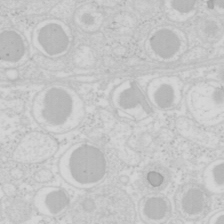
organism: Mouse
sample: Pancreas